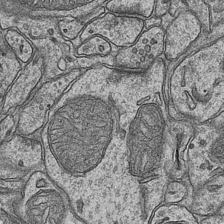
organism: Mouse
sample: CA1 Hippocampus